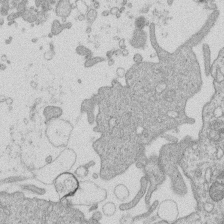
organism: Human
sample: Macrophage cells